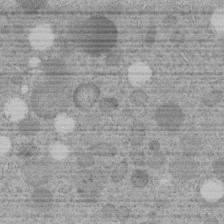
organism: C. elegans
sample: C. elegans embryo early stage